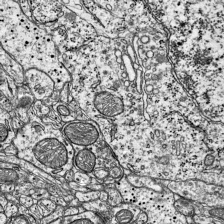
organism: Mouse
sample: Visual Cortex